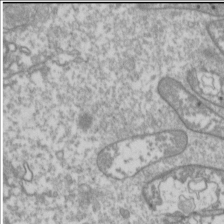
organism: Drosophila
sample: Cell division; meiosis; drosophila spermatocytes